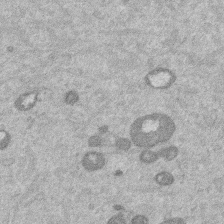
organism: Mouse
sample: Dividing mouse embryo 1 cell stage